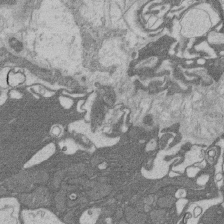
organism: Rat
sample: Salivary granule